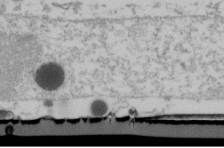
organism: Human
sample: U2-OS cells